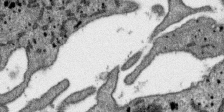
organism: Human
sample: Lung epithelial cells, uninfected (mock) control